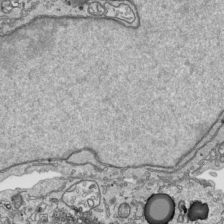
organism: Human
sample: Mitochondria in HCT116 cells